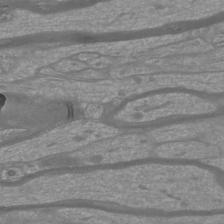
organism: Mouse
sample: Cortical neurons